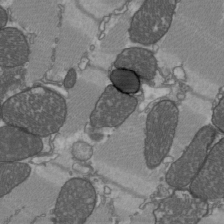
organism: C57BL Mouse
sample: Heart